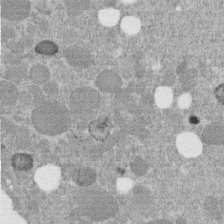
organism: C. elegans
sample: C. elegans embryo early stage